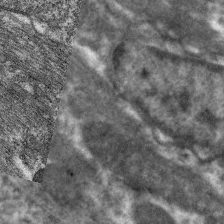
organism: C. elegans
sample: Pharynx